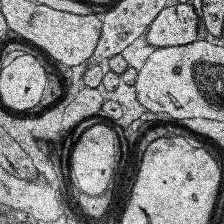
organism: Human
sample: Temporal Lobe